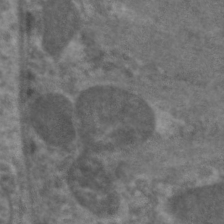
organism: C. elegans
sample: Pharynx